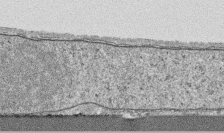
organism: Human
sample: CRL-1474